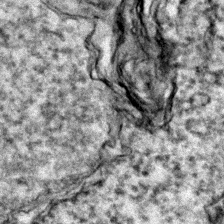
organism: Zebrafish